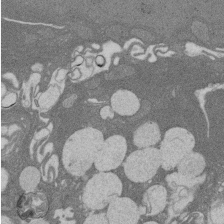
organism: Rat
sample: Salivary granule